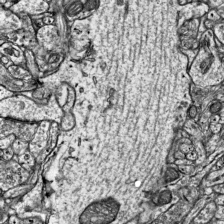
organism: Mouse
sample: Visual Cortex